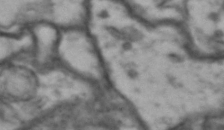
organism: Drosophila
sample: Brain